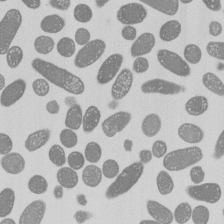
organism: E. coli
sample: Bacterial nucleoid